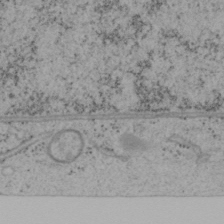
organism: Human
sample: HeLa cells